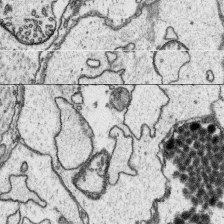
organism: Platynereis dumerilii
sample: Parapodia